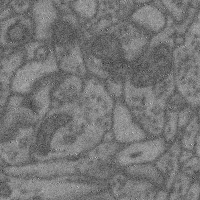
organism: Mouse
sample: Cerebral cortex